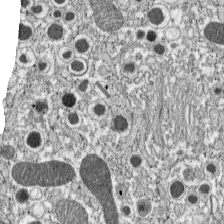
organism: C57BL Mouse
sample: Pancreatic islet